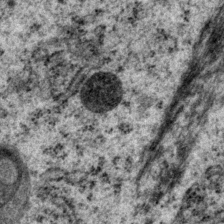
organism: P. pacificus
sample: Pharynx